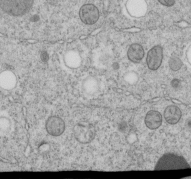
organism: C. elegans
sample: C. elegans embryo early stage